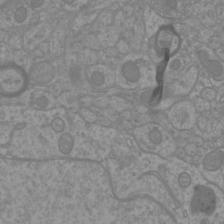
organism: Mouse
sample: Cortical neurons